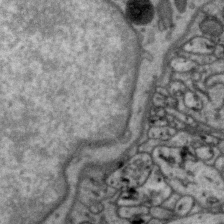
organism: Zebra finch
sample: Brain